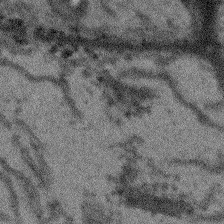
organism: Arabidopsis thaliana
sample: Root tip